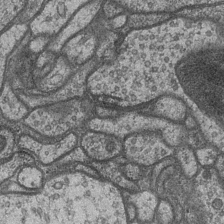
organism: Drosophila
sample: Optic medulla